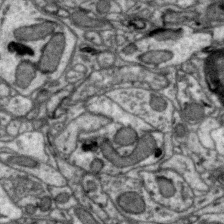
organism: Zebra finch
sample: Brain